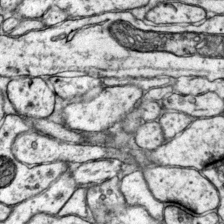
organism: Mouse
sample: Primary visual cortex